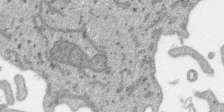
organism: Human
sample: Lung epithelial cells infected with SARS-CoV-2